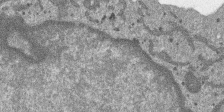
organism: Human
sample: Lung epithelial cells infected with SARS-CoV-2